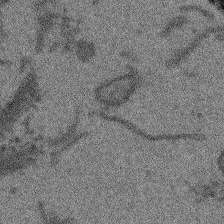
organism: Arabidopsis thaliana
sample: Root tip